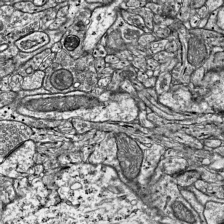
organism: Mouse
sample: Visual Cortex